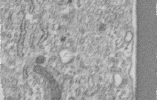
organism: Human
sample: Centriole in RPE cells